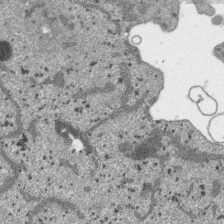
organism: Human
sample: Lung epithelial cells infected with SARS-CoV-2